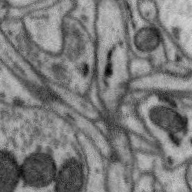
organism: Zebra finch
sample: Brain